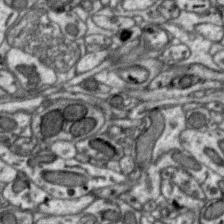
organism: Zebra finch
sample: Brain